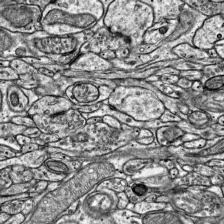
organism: Mouse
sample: Visual Cortex